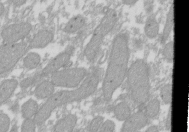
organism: Xenopus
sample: Cilia; centrioles in frog embryo cells